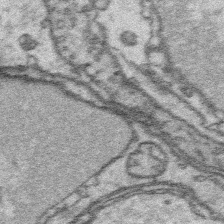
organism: Platynereis dumerilii